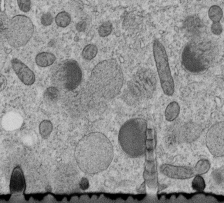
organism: C. elegans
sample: C. elegans embryo early stage